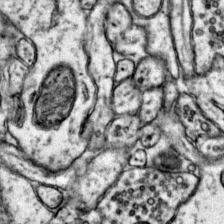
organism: Mouse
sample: Primary visual cortex